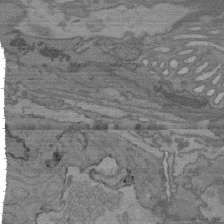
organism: C. elegans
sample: AFD neurons C. elegans